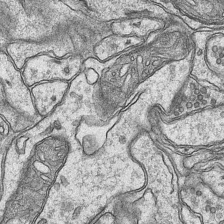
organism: Mouse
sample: CA1 Hippocampus